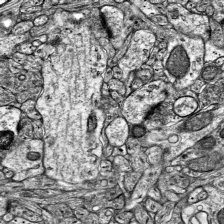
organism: Mouse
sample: Visual Cortex